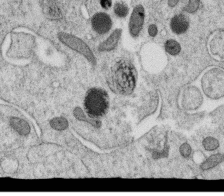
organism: C. elegans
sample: C. elegans oocyte; sperm cells